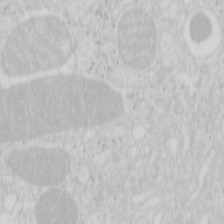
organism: Mouse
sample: Pancreas